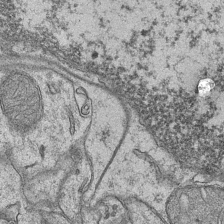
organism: Mouse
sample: CA1 Hippocampus